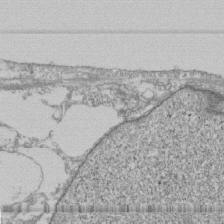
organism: Human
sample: Fibroblast cells